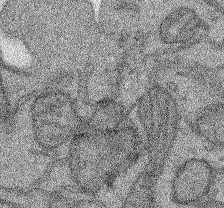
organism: Human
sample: HeLa cells